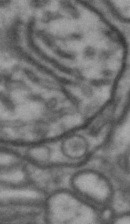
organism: Drosophila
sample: Brain